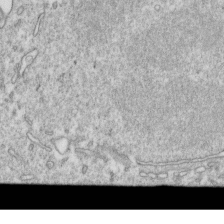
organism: Mouse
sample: Activated OT-1 CD8+ T cells